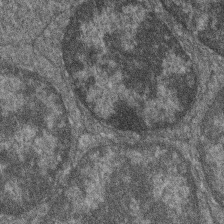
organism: Zebrafish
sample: Cilia; retinal pigment epithelium